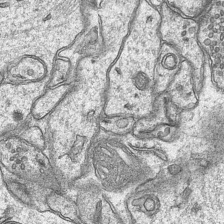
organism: Mouse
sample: CA1 Hippocampus